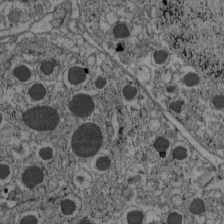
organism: C57BL Mouse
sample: Pancreatic islet